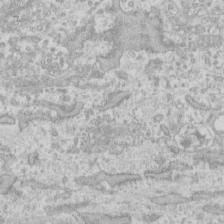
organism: Human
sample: Fibroblast cells